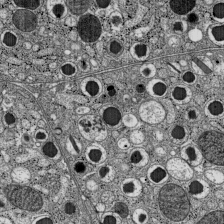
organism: C57BL Mouse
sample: Pancreatic islet